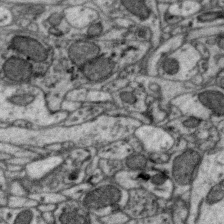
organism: Zebra finch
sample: Brain